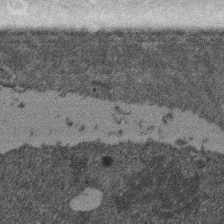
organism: Mouse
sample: Dividing mouse embryo 1 cell stage